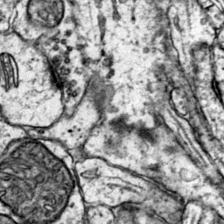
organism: Mouse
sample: Primary visual cortex